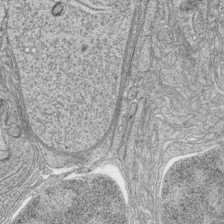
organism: Zebrafish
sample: synaptic ribbons in rod cells and cone cells